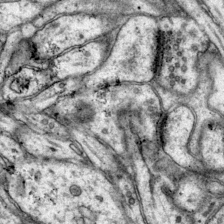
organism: Mouse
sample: Primary visual cortex